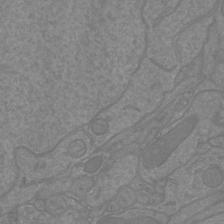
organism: Mouse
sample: Cortical neurons